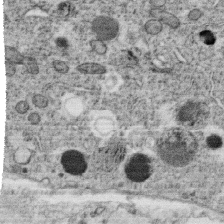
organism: C. elegans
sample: C. elegans oocyte; sperm cells